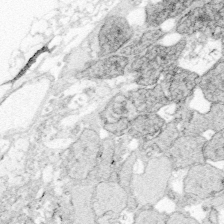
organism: Zebrafish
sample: Whole-Brain